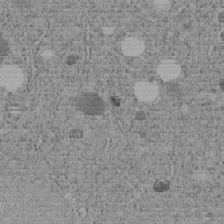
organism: C. elegans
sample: C. elegans embryo early stage